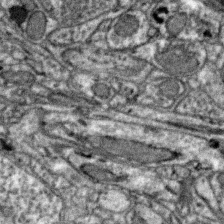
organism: Zebra finch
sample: Brain